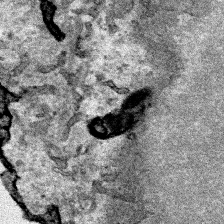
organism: Human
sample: Mitochondria in HCT116 cells